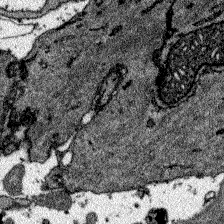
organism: Zebrafish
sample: Larval olfactory bulb